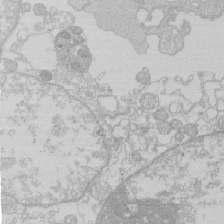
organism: Human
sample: Macrophage cells